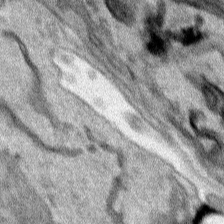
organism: Human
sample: Mitochondria in HCT116 cells